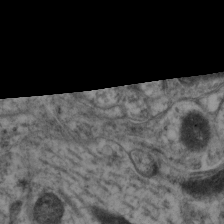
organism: Mouse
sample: Neocortex